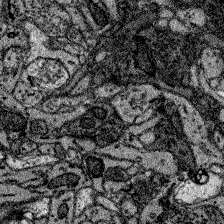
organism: Zebrafish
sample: Larval olfactory bulb